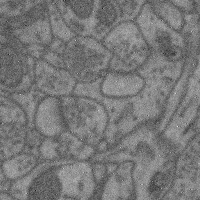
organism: Mouse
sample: Cerebral cortex